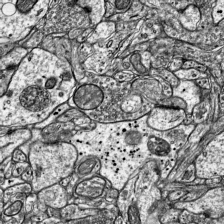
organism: Mouse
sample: Visual Cortex